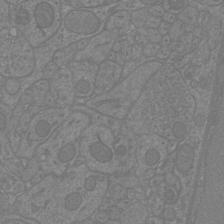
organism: Mouse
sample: Cortical neurons